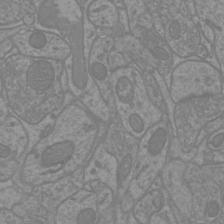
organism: Mouse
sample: Cortical neurons